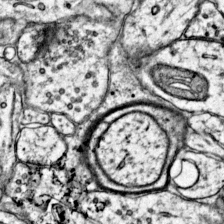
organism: Mouse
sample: Primary visual cortex